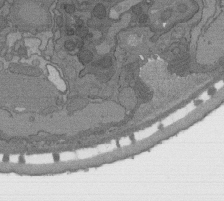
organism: C. elegans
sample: AFD neurons C. elegans